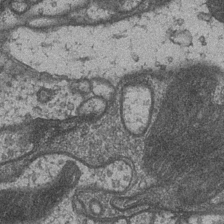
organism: Drosophila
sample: Optic medulla